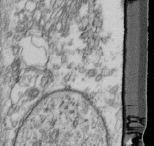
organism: Mouse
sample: Cilia; retinal pigment epithelium